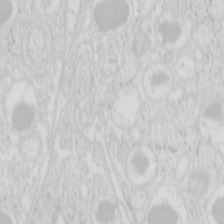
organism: Mouse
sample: Pancreas